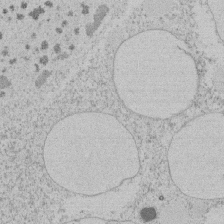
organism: Tetrahymena